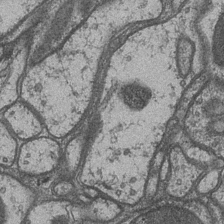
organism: Drosophila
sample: Optic medulla